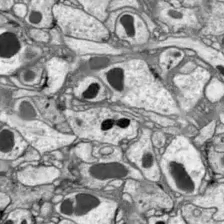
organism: Drosophila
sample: Optic lobe